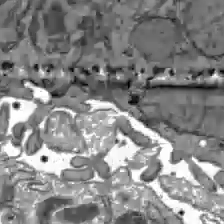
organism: C57BL Mouse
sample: Liver